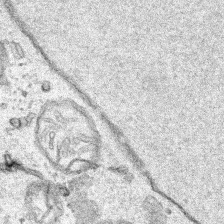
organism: Human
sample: Mitochondria in HCT116 cells